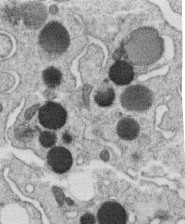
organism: C. elegans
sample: C. elegans oocyte; sperm cells